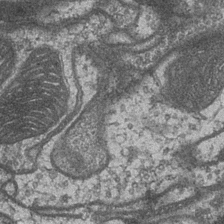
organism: Drosophila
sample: Optic medulla